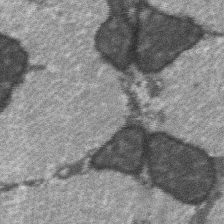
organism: C57BL Mouse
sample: Soleus